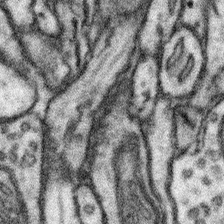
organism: Mouse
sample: Somatosensory cortex neuropil